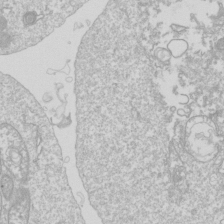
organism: Drosophila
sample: Cell division; meiosis; drosophila spermatocytes